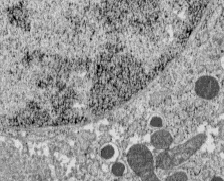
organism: C57BL Mouse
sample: Pancreatic islet